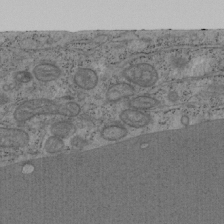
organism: Human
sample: HeLa cells